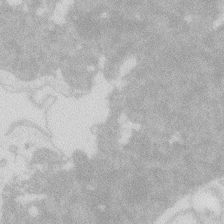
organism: Zebrafish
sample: Macrophage